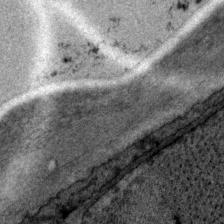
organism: P. pacificus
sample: Pharynx